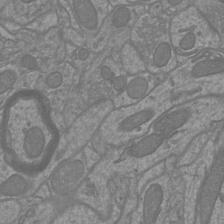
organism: Mouse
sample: Cortical neurons